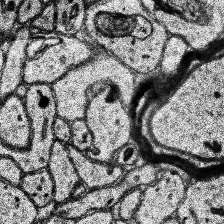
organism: Human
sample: Temporal Lobe